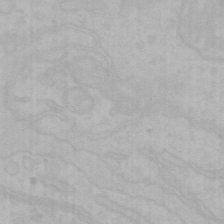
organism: Mouse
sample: Choroid plexus